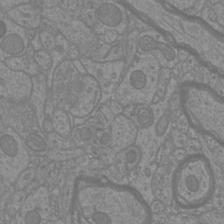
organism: Mouse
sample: Cortical neurons